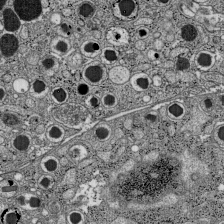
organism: C57BL Mouse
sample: Pancreatic islet